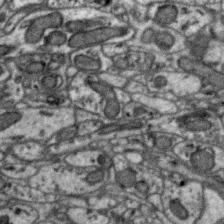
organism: Zebra finch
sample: Brain